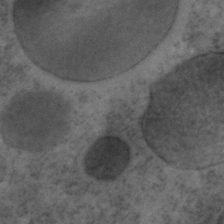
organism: C. elegans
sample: C. elegans embryo